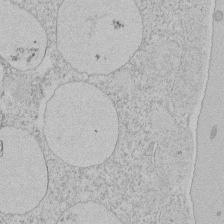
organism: Tetrahymena